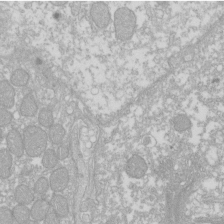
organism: Xenopus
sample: Cilia; centrioles in frog embryo cells